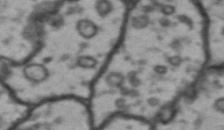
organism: Drosophila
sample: Brain